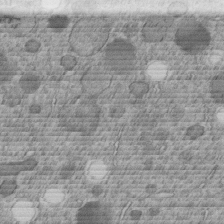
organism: C. elegans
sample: C. elegans embryo early stage